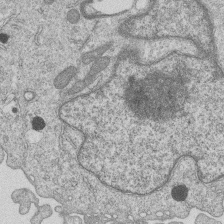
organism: Human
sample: MDA-MB-231 cells